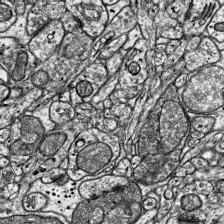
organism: Mouse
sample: Visual Cortex